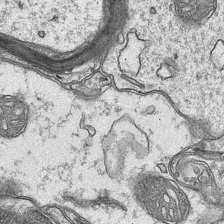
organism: Mouse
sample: CA1 Hippocampus